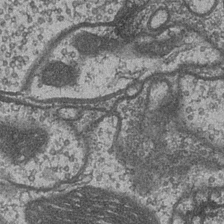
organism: Drosophila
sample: Optic medulla